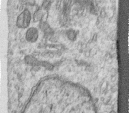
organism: Human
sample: Centriole in RPE cells